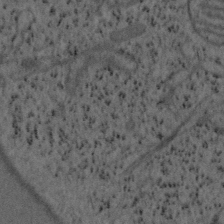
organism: Human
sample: HeLa cells